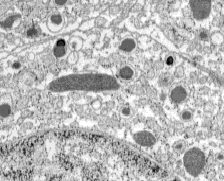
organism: C57BL Mouse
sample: Pancreatic islet